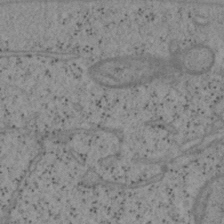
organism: Human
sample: HeLa cells